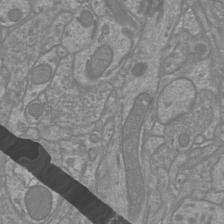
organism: Mouse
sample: Cortical neurons